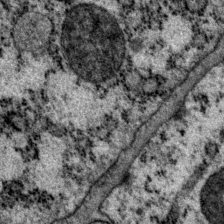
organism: P. pacificus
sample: Pharynx